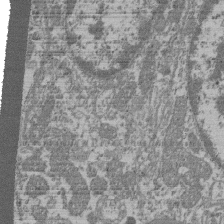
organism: Mouse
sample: Glomerulus